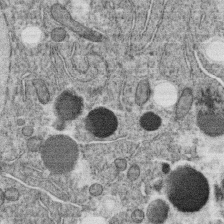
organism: C. elegans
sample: C. elegans oocyte; sperm cells